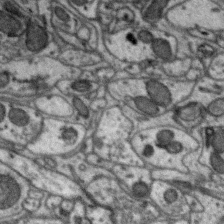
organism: Zebra finch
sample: Brain